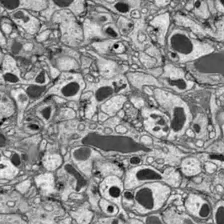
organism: Drosophila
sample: Optic lobe